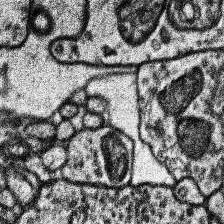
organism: Human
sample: Temporal Lobe